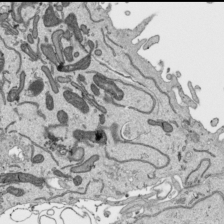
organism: Human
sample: Mitochondria in HCT116 cells